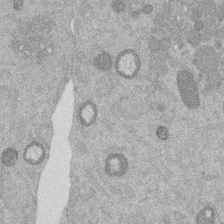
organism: Mouse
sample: Dividing mouse embryo 1 cell stage